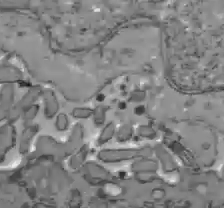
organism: C57BL Mouse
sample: Liver